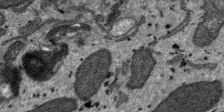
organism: Human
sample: Lung epithelial cells, uninfected (mock) control